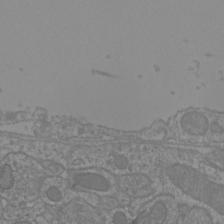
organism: Mouse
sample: Cortical neurons